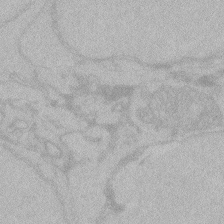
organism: Zebrafish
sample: Macrophage infected with Toxoplasma gondii